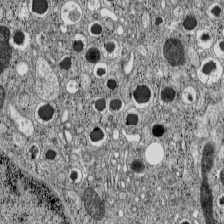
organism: C57BL Mouse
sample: Pancreatic islet